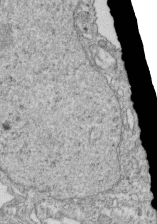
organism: Human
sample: HeLa cell HIV synapse